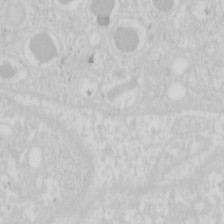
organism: Mouse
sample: Pancreas